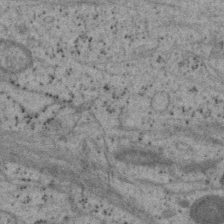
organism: Human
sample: HeLa cells